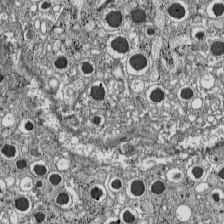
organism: C57BL Mouse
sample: Pancreatic islet